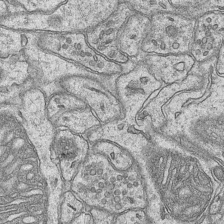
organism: Mouse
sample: CA1 Hippocampus